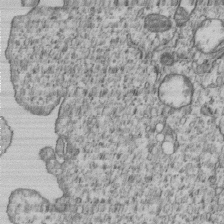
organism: Human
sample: MDA-MB-231 cells